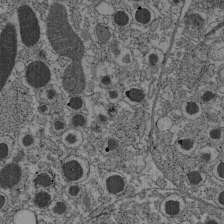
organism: C57BL Mouse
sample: Pancreatic islet